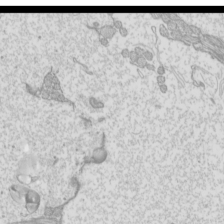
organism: Mouse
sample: Cilia; mouse epididymis